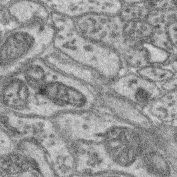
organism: Mouse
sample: Retina